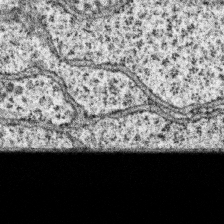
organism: Human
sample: HeLa cells